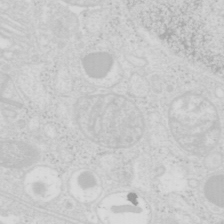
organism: Mouse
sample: Pancreas